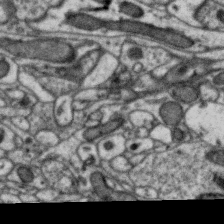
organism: Zebra finch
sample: Brain